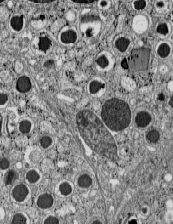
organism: C57BL Mouse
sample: Pancreatic islet